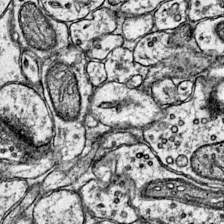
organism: Mouse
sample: Primary visual cortex